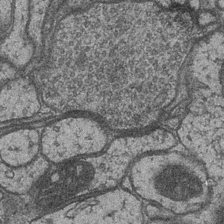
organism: Drosophila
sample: Optic medulla